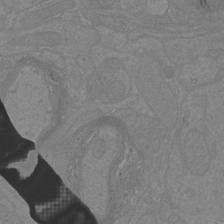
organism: Mouse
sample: Cortical neurons